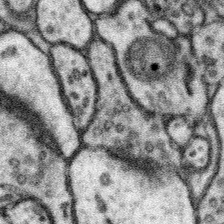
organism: Mouse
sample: Somatosensory cortex neuropil